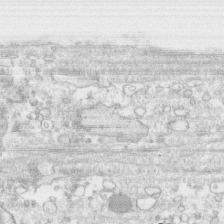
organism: Human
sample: CRL-1474